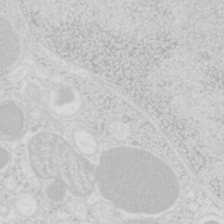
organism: Mouse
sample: Pancreas